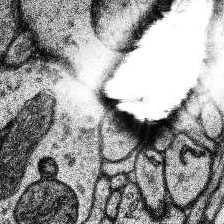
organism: Human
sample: Temporal Lobe